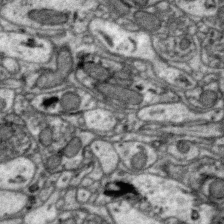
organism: Zebra finch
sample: Brain